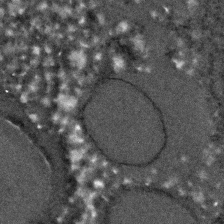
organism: C. elegans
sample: C. elegans embryo